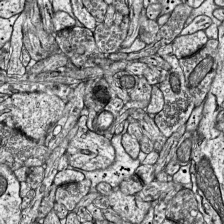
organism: Mouse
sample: Visual Cortex